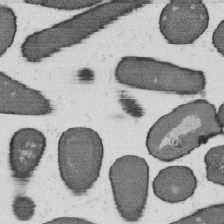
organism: B. subtilis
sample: Bacterial spore